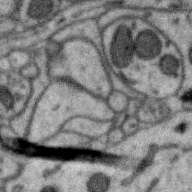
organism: Zebra finch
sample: Brain